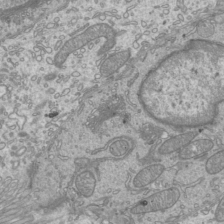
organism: Mouse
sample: Cilia; mouse epididymis